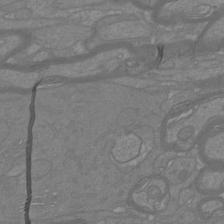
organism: Mouse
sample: Cortical neurons